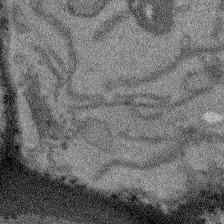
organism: Arabidopsis thaliana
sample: Root tip